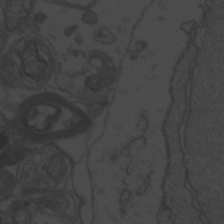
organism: Zebrafish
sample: Macrophage infected with Toxoplasma gondii